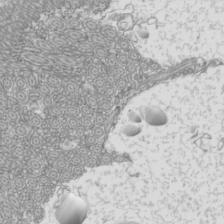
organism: Mouse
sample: Cilia; mouse epididymis